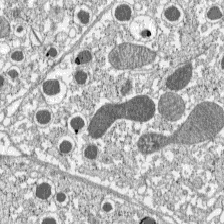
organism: C57BL Mouse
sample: Pancreatic islet